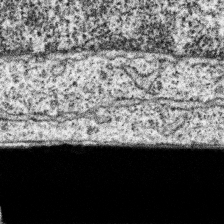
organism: Human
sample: HeLa cells